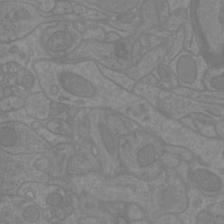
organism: Mouse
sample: Cortical neurons